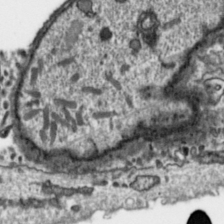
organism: Toxoplasma gondii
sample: Parasites in a vacuole inside a host cell